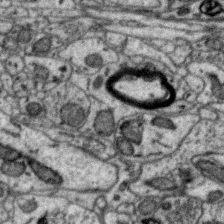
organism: Zebra finch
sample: Brain